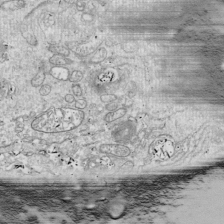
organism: Drosophila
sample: Cell division; meiosis; drosophila spermatocytes